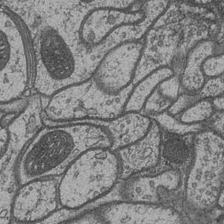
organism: Drosophila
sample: Optic medulla